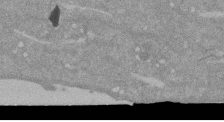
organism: Mouse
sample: ED-1 cell nuclei; centrioles